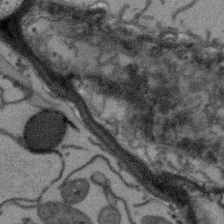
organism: Arabidopsis thaliana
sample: Root tip